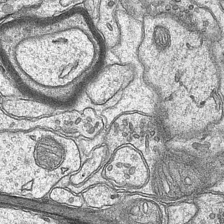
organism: Mouse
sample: CA1 Hippocampus